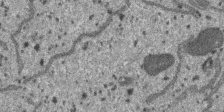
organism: Human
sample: Lung epithelial cells infected with SARS-CoV-2